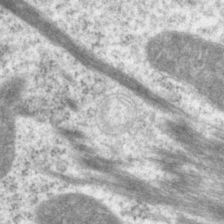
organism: P. pacificus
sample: Pharynx